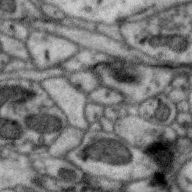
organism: Zebra finch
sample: Brain